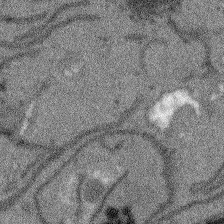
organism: Arabidopsis thaliana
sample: Root tip